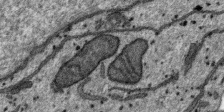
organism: Human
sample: Lung epithelial cells, uninfected (mock) control